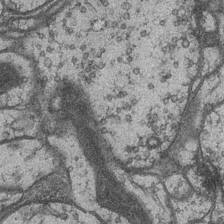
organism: Drosophila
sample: Optic medulla